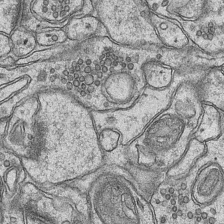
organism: Mouse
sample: CA1 Hippocampus